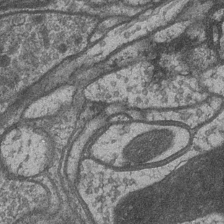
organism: Drosophila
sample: Optic medulla